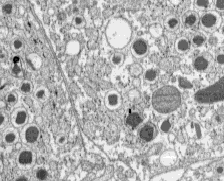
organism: C57BL Mouse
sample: Pancreatic islet